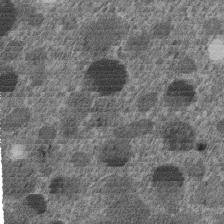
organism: C. elegans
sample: C. elegans embryo early stage